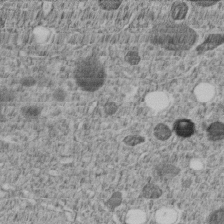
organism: C. elegans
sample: C. elegans embryo early stage